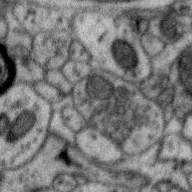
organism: Zebra finch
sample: Brain